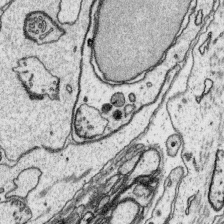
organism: Platynereis dumerilii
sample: Parapodia